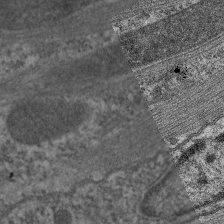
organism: C. elegans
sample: Pharynx